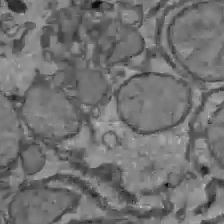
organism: C57BL Mouse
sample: Liver